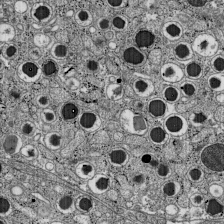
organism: C57BL Mouse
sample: Pancreatic islet